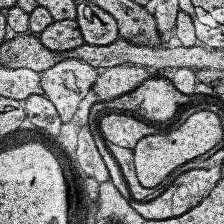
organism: Human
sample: Temporal Lobe